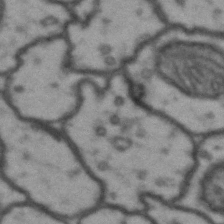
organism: Drosophila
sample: Brain